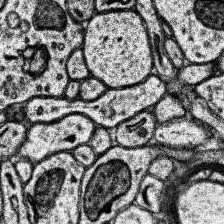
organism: Human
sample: Temporal Lobe